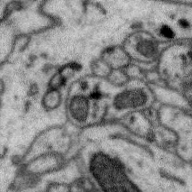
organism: Zebra finch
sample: Brain